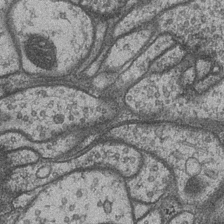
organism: Drosophila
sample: Optic medulla